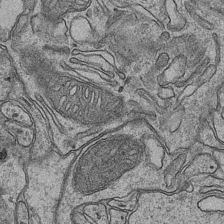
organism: Mouse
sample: CA1 Hippocampus